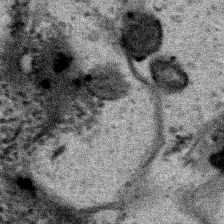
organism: Human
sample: Mitochondria in HCT116 cells